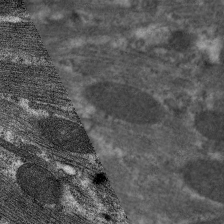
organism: C. elegans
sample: Pharynx